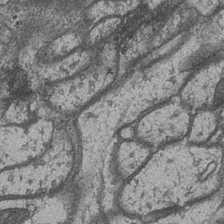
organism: Drosophila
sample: Optic medulla